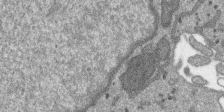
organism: Human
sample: Lung epithelial cells infected with SARS-CoV-2